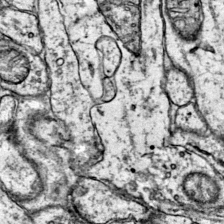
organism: Mouse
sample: Primary visual cortex